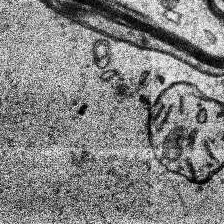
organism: Human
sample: Temporal Lobe